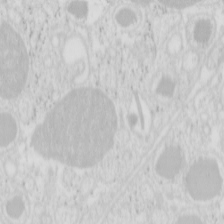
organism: Mouse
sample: Pancreas